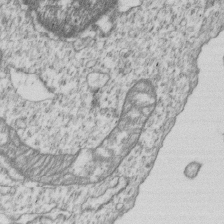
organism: Human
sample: MDA-MB-231 cells